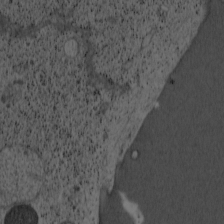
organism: African green monkey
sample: COS-7 cells